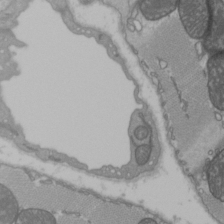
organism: C57BL Mouse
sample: Heart